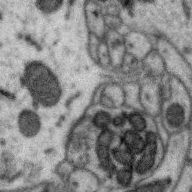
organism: Zebra finch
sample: Brain